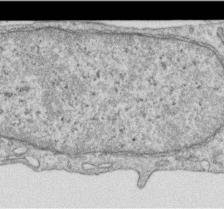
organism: Human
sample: Centriole in RPE cells